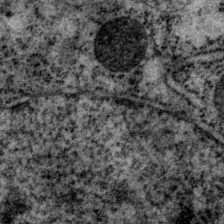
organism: P. pacificus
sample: Pharynx